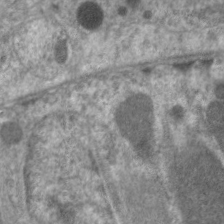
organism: C. elegans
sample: Pharynx